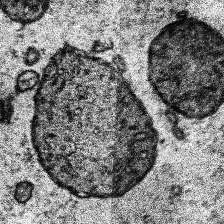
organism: Human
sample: Temporal Lobe